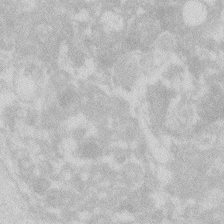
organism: Zebrafish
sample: Macrophage